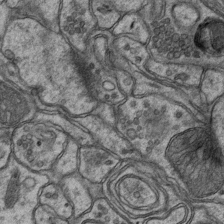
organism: Mouse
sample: CA1 Hippocampus